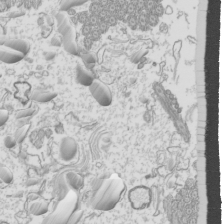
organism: Mouse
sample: Cilia; mouse epididymis